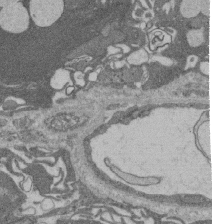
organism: Rat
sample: Salivary granule